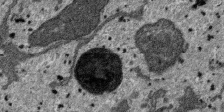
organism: Human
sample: Lung epithelial cells, uninfected (mock) control